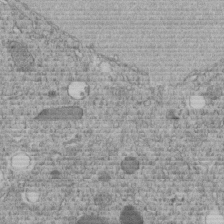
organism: C. elegans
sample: C. elegans embryo early stage